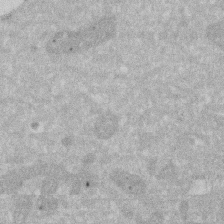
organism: Human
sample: HIV infected U937 cells